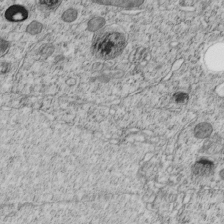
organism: C. elegans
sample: C. elegans embryo early stage